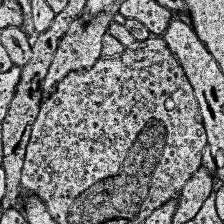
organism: Human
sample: Temporal Lobe